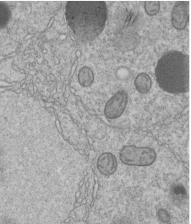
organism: C. elegans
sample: C. elegans embryo early stage